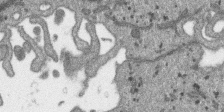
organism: Human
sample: Lung epithelial cells infected with SARS-CoV-2